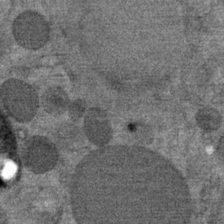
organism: Mouse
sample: Mouse Salivary gland